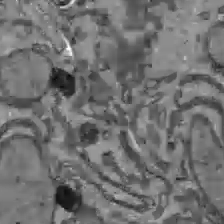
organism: C57BL Mouse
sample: Liver